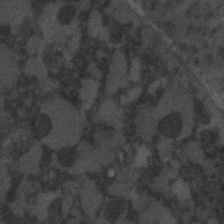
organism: C. elegans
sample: C. elegans embryo